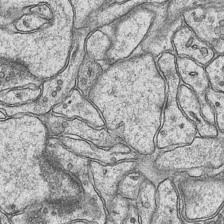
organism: Mouse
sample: CA1 Hippocampus